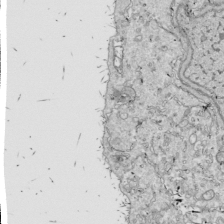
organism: Drosophila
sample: Cell division; meiosis; drosophila spermatocytes